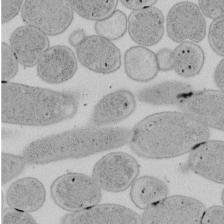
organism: E. coli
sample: Bacterial nucleoid